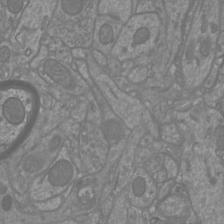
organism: Mouse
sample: Cortical neurons